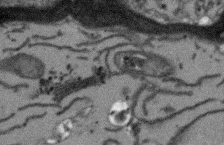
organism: Arabidopsis thaliana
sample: Root tip